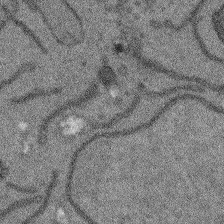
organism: Arabidopsis thaliana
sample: Root tip